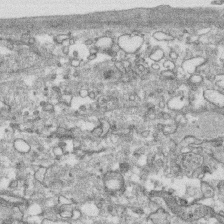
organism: Human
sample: CRL-1474